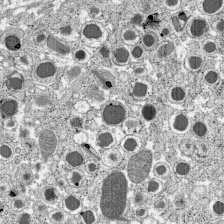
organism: C57BL Mouse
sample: Pancreatic islet